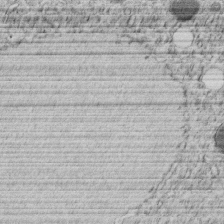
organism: C. elegans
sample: C. elegans embryo early stage